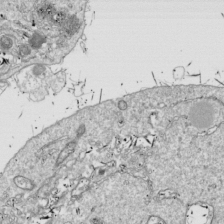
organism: Drosophila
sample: Cell division; meiosis; drosophila spermatocytes